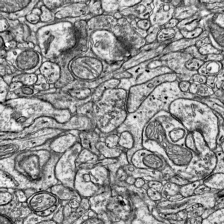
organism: Mouse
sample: Visual Cortex